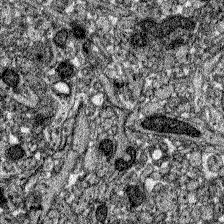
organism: Zebrafish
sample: Larval olfactory bulb